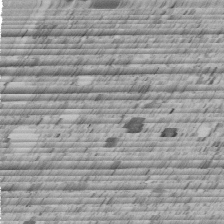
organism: C. elegans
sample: C. elegans embryo early stage